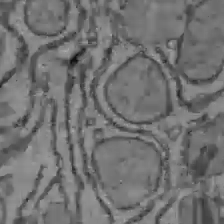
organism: C57BL Mouse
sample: Liver